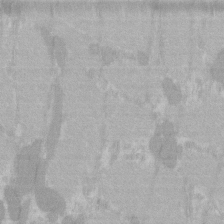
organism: C57BL Mouse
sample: Tibialis anterior muscle cell